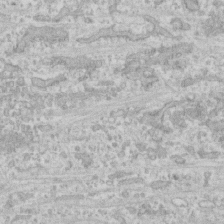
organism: Human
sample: CRL-1474